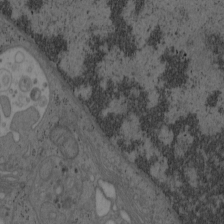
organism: Mouse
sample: OT-I killer T cells with ID8 ovarian cancer cells